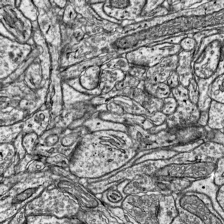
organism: Mouse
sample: Visual Cortex